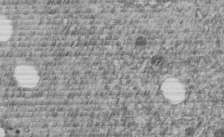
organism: C. elegans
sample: C. elegans embryo early stage